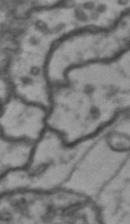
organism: Drosophila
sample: Brain